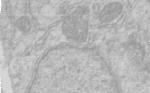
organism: Human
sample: Centriole in RPE cells